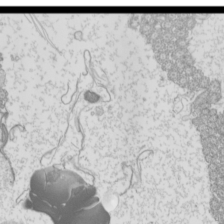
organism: Mouse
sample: Cilia; mouse epididymis